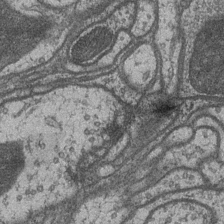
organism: Drosophila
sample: Optic medulla